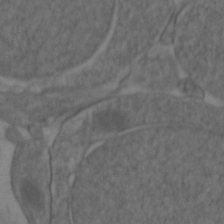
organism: Zebrafish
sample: Zebrafish embryo